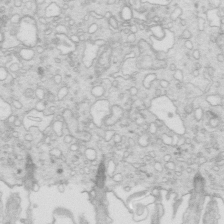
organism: Mouse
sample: Multiciliated cells